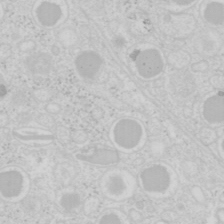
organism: Mouse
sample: Pancreas